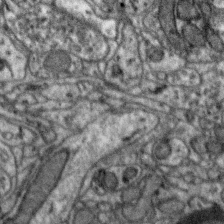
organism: Zebra finch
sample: Brain